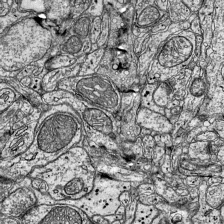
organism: Mouse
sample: Visual Cortex